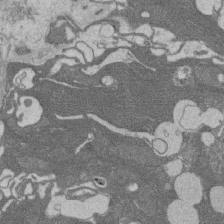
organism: Rat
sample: Salivary granule